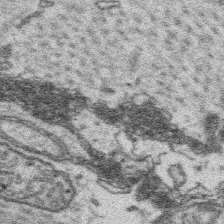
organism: Platynereis dumerilii